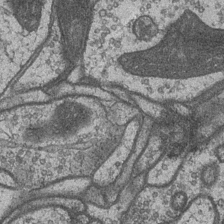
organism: Drosophila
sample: Optic medulla